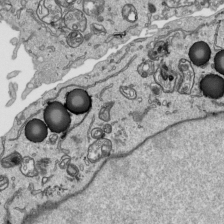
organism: Human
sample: Mitochondria in HCT116 cells